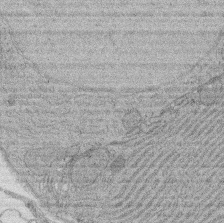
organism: Rat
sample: Salivary granule